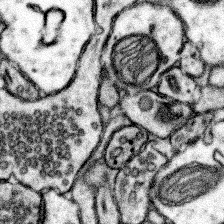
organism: Mouse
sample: Somatosensory cortex neuropil